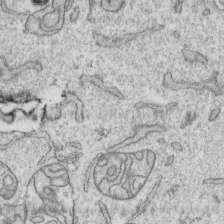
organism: Human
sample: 1205lu cells